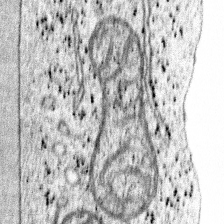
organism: Human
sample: HeLa cells